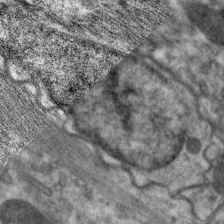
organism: C. elegans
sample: Pharynx